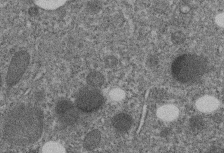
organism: C. elegans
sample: C. elegans embryo early stage